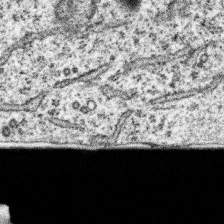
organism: Human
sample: HeLa cells